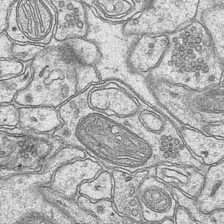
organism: Mouse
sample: CA1 Hippocampus